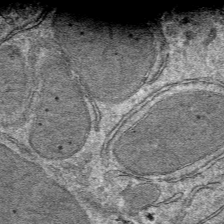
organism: Mouse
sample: Mouse hepatocytes